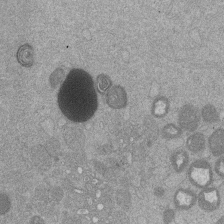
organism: Mouse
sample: Dividing mouse embryo 1 cell stage